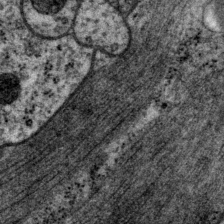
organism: P. pacificus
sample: Pharynx